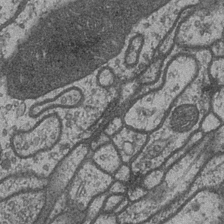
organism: Drosophila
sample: Optic medulla